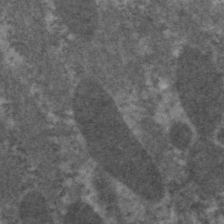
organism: C. elegans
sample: Pharynx